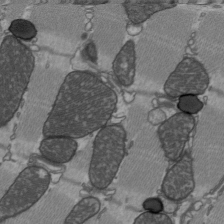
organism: C57BL Mouse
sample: Heart